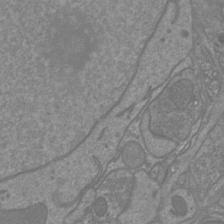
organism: Mouse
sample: Cortical neurons